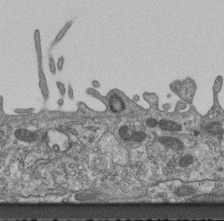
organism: Mouse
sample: Centriole in ependymal cells